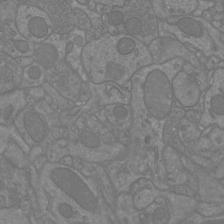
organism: Mouse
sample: Cortical neurons